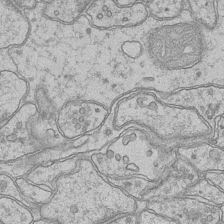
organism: Mouse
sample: CA1 Hippocampus